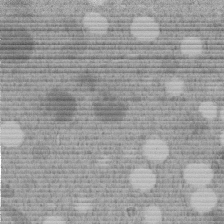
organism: C. elegans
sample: C. elegans embryo early stage